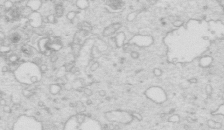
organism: Mouse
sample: Multiciliated cells